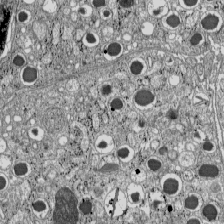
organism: C57BL Mouse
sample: Pancreatic islet